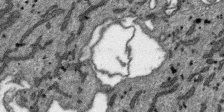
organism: Human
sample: Lung epithelial cells, uninfected (mock) control